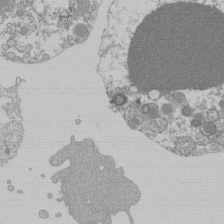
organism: Mouse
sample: Activated Pmel transgenic CD8+ T Cells